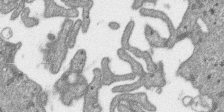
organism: Human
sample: Lung epithelial cells infected with SARS-CoV-2